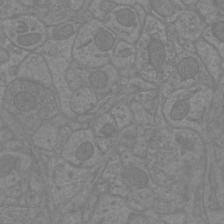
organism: Mouse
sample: Cortical neurons